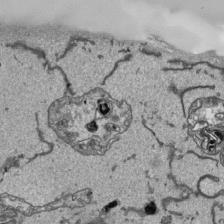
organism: Human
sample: Mitochondria in HCT116 cells